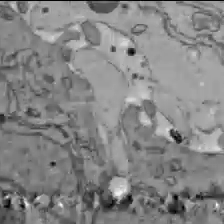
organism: C57BL Mouse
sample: Liver